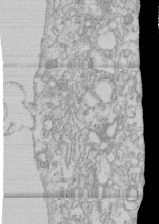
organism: Human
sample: CRL-1474